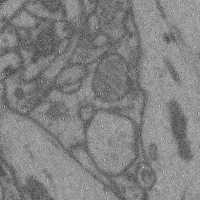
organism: Mouse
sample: Cerebral cortex